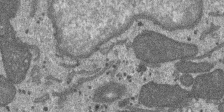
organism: Human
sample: Lung epithelial cells infected with SARS-CoV-2